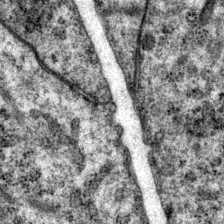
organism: P. pacificus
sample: Pharynx